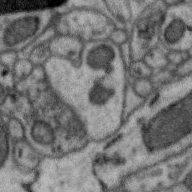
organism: Zebra finch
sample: Brain